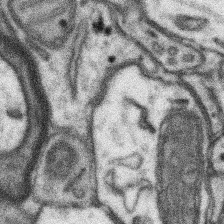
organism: Mouse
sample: Somatosensory cortex neuropil